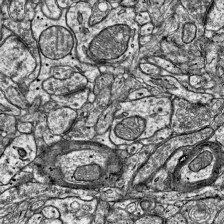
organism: Mouse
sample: Visual Cortex